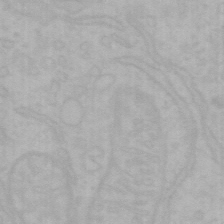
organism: Mouse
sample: Choroid plexus